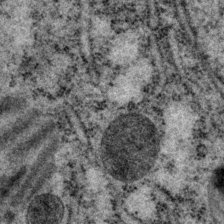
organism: P. pacificus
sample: Pharynx